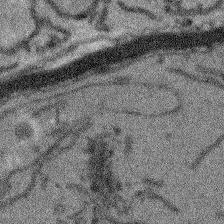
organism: Arabidopsis thaliana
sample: Root tip